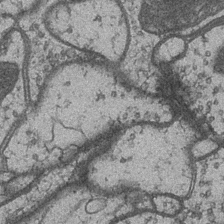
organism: Drosophila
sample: Optic medulla